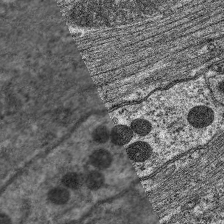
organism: C. elegans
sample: Pharynx